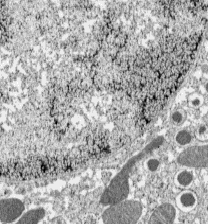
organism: C57BL Mouse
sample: Pancreatic islet